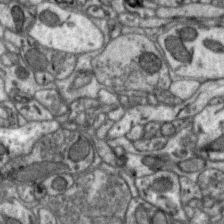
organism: Zebra finch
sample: Brain